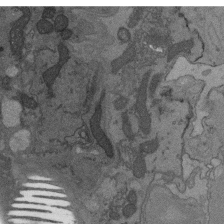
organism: C. elegans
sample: AFD neurons C. elegans